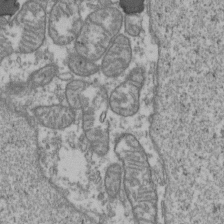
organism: Human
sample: Activated Jurkat CD4+ T cells